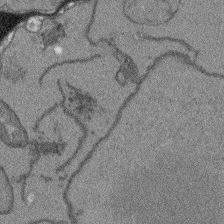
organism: Arabidopsis thaliana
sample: Root tip